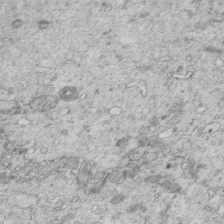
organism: Mouse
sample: Multiciliated cells